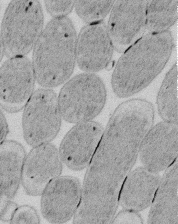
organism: E. coli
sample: Bacterial nucleoid